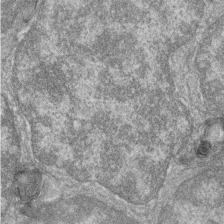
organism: Zebrafish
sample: Cilia; retinal pigment epithelium